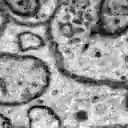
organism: Zebrafish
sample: Brain